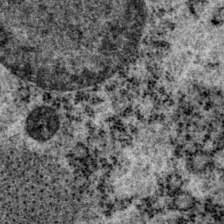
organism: P. pacificus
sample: Pharynx